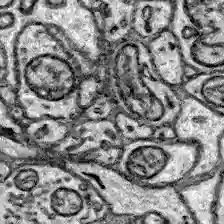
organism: Zebrafish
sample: Brain